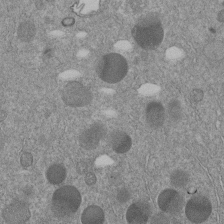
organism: C. elegans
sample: C. elegans embryo early stage